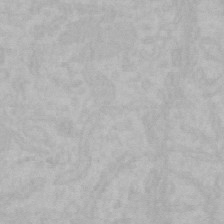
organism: Mouse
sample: Choroid plexus